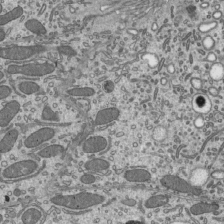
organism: Mouse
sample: Mouse epididymis efferent ductule cilia